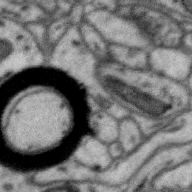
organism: Zebra finch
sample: Brain